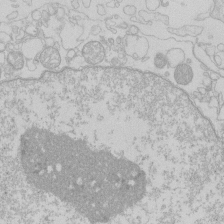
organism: Human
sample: Macrophage cells